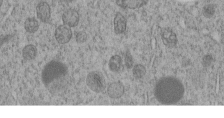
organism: C. elegans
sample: C. elegans embryo early stage